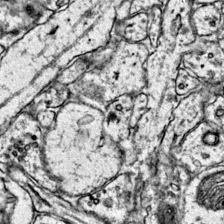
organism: Mouse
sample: Primary visual cortex